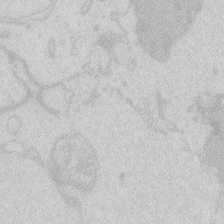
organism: Zebrafish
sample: Macrophage